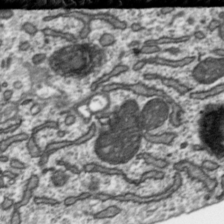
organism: Toxoplasma gondii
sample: Parasites in a vacuole inside a host cell